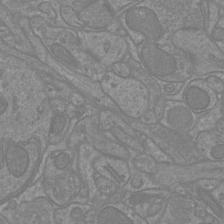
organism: Mouse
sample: Cortical neurons